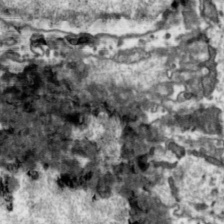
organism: Toxoplasma gondii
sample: Parasites in a vacuole inside a host cell